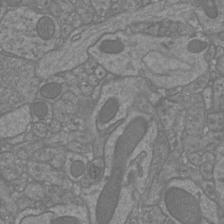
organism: Mouse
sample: Cortical neurons